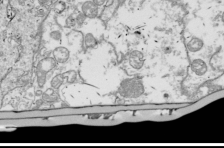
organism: Drosophila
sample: Cell division; meiosis; drosophila spermatocytes